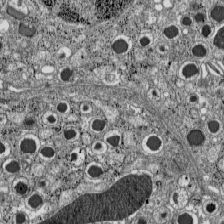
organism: C57BL Mouse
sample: Pancreatic islet